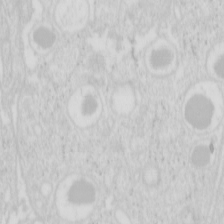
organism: Mouse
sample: Pancreas